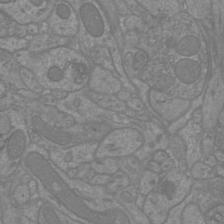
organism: Mouse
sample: Cortical neurons